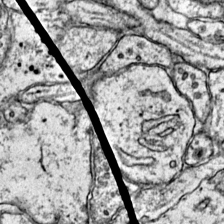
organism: Mouse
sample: Primary visual cortex